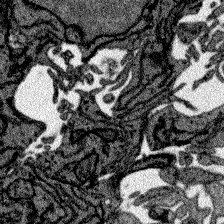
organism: Zebrafish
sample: Larval olfactory bulb